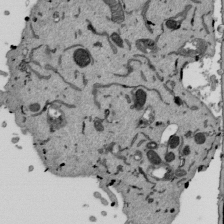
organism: Mouse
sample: ED-1 cell nuclei; centrioles